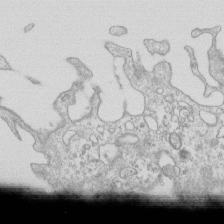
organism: Mouse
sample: Macrophages